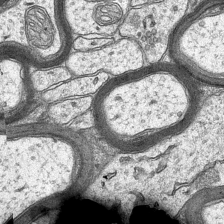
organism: Mouse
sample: CA1 Hippocampus